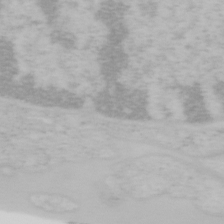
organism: Mouse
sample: OT-I killer T cells with ID8 ovarian cancer cells